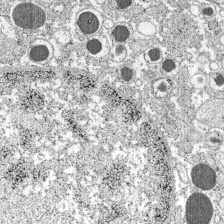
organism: C57BL Mouse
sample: Pancreatic islet